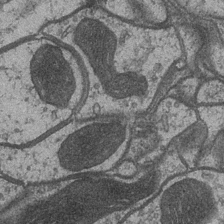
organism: Drosophila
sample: Optic medulla